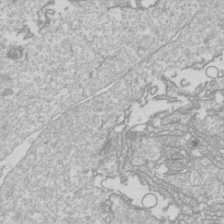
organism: Drosophila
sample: Cell division; meiosis; drosophila spermatocytes